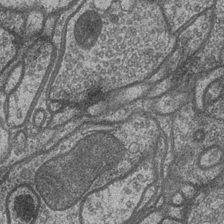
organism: Drosophila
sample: Optic medulla